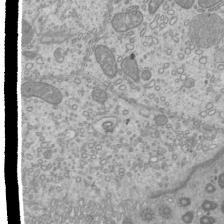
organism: Mouse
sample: Cilia; mouse epididymis